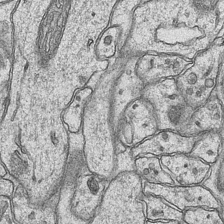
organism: Mouse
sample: CA1 Hippocampus